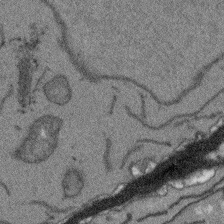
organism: Arabidopsis thaliana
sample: Root tip